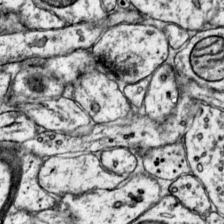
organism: Mouse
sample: Primary visual cortex